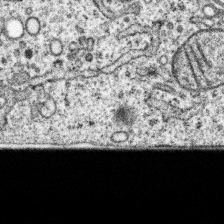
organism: Human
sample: HeLa cells